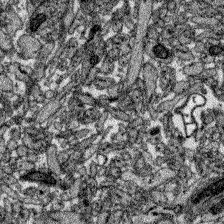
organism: Zebrafish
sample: Larval olfactory bulb